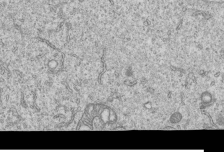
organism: Human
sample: MDA-MB-231 cells